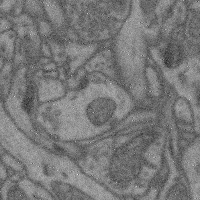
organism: Mouse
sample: Cerebral cortex